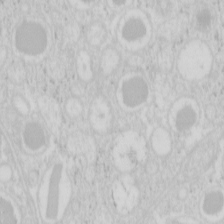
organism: Mouse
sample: Pancreas